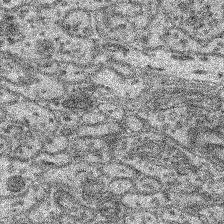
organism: Mouse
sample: Retina